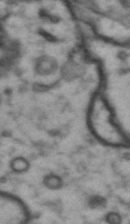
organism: Drosophila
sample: Brain